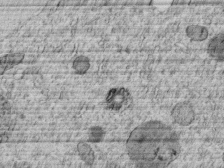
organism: C. elegans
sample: C. elegans embryo early stage